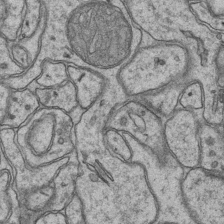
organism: Mouse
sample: CA1 Hippocampus